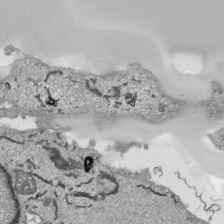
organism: Human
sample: Mitochondria in HCT116 cells